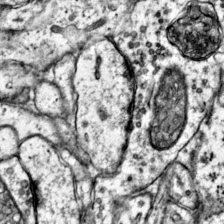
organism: Mouse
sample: Primary visual cortex